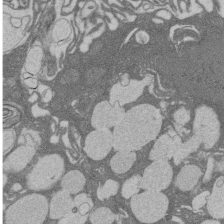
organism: Rat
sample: Salivary granule